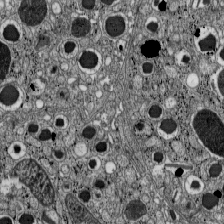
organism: C57BL Mouse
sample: Pancreatic islet